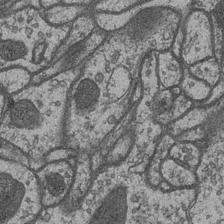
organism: Drosophila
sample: Optic medulla